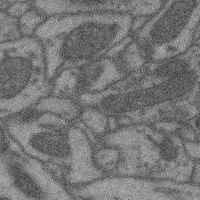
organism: Mouse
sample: Cerebral cortex